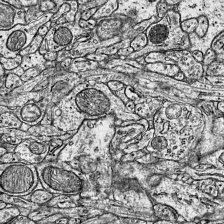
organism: Mouse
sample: Visual Cortex